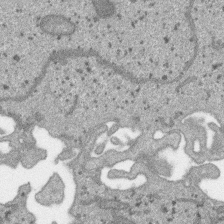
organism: Human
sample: Lung epithelial cells infected with SARS-CoV-2